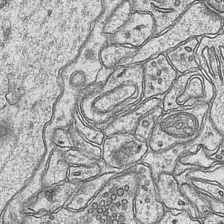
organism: Mouse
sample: CA1 Hippocampus